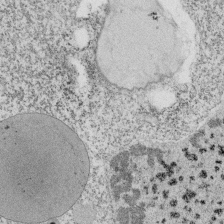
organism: Tetrahymena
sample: Cilia in tetrahymena